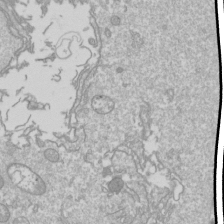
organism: Drosophila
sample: Cell division; meiosis; drosophila spermatocytes